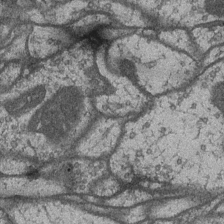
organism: Drosophila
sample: Optic medulla